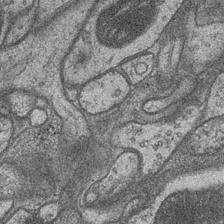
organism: Drosophila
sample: Optic medulla